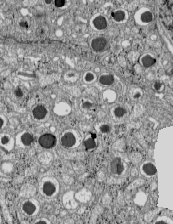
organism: C57BL Mouse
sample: Pancreatic islet